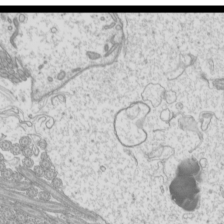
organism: Mouse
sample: Cilia; mouse epididymis